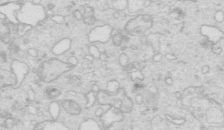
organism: Mouse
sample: Multiciliated cells